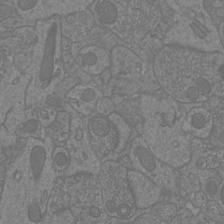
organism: Mouse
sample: Cortical neurons